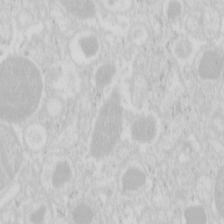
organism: Mouse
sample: Pancreas